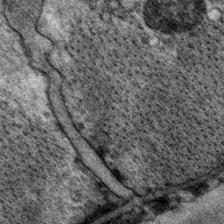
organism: P. pacificus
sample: Pharynx